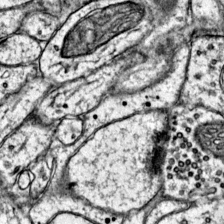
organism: Mouse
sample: Primary visual cortex